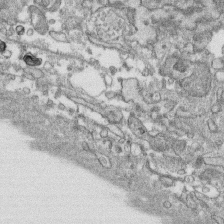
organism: Human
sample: CRL-1474